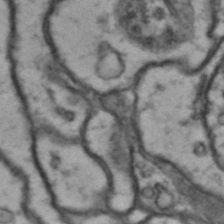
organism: Drosophila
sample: Brain